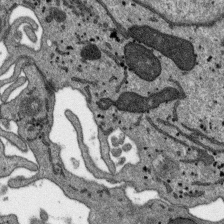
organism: Human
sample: Lung epithelial cells, uninfected (mock) control